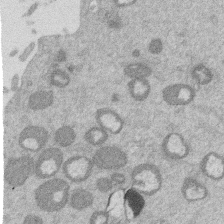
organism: Mouse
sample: Dividing mouse embryo 1 cell stage